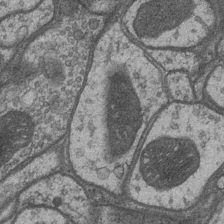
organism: Drosophila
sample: Optic medulla